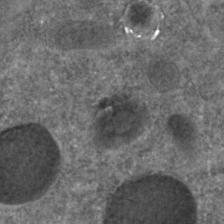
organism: C. elegans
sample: C. elegans embryo